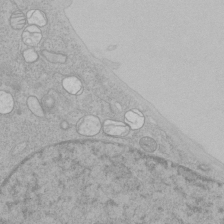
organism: Human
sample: Mitochondria in HCT116 cells